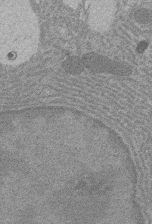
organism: Rat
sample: Salivary granule